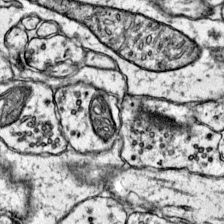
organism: Mouse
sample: Primary visual cortex